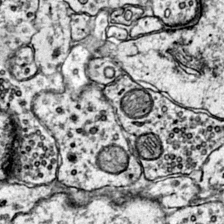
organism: Mouse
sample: Primary visual cortex